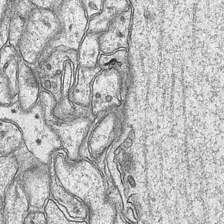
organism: Mouse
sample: CA1 Hippocampus